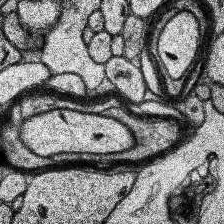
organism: Human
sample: Temporal Lobe